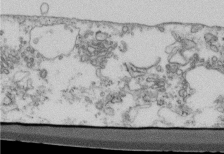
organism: Mouse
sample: Cilia; retinal pigment epithelium